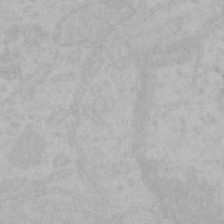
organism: Mouse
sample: Choroid plexus